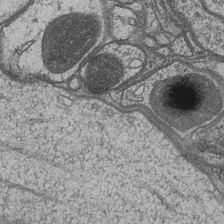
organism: Drosophila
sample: Optic medulla